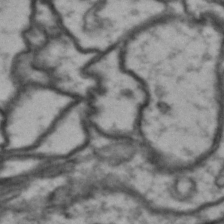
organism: Drosophila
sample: Brain